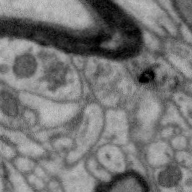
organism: Zebra finch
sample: Brain